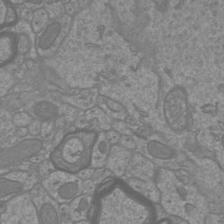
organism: Mouse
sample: Cortical neurons